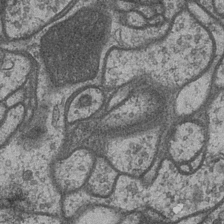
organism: Drosophila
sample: Optic medulla